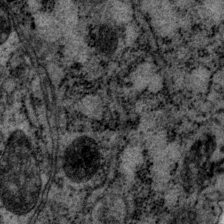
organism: P. pacificus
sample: Pharynx